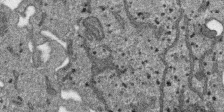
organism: Human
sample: Lung epithelial cells infected with SARS-CoV-2